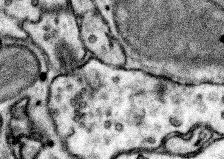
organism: Mouse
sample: Somatosensory cortex neuropil